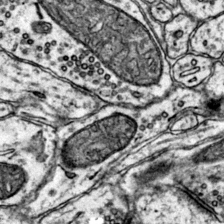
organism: Mouse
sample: Primary visual cortex